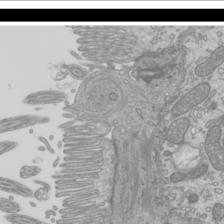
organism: Mouse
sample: Cilia; mouse epididymis